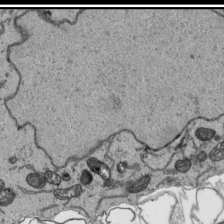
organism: Human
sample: Mitochondria in HCT116 cells